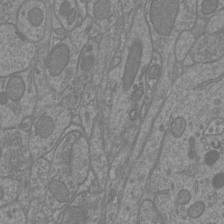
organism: Mouse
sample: Cortical neurons